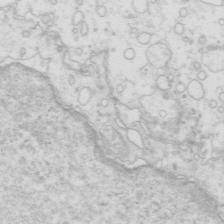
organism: Mouse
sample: Multiciliated cells